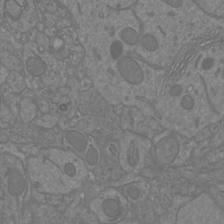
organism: Mouse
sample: Cortical neurons